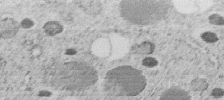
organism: C. elegans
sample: C. elegans embryo early stage